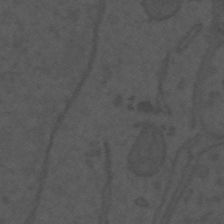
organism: Mouse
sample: Suprachiasmatic nucleus